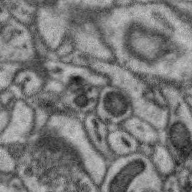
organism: Zebra finch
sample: Brain